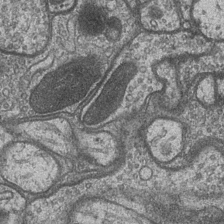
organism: Drosophila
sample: Optic medulla